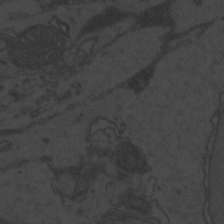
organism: Zebrafish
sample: Macrophage infected with Toxoplasma gondii